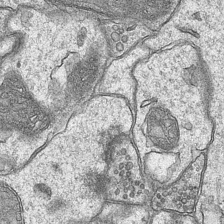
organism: Mouse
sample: CA1 Hippocampus